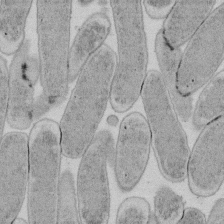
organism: E. coli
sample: Bacterial nucleoid